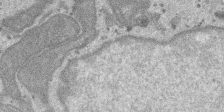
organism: Human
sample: Lung epithelial cells infected with SARS-CoV-2